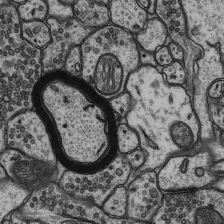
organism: Rat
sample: Hippocampus